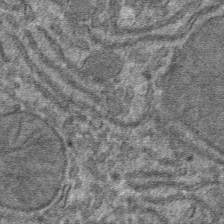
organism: Mouse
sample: Mouse hepatocytes